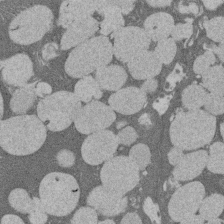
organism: Rat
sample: Salivary granule